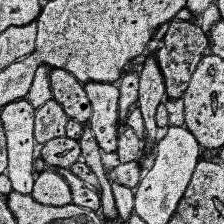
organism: Human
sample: Temporal Lobe